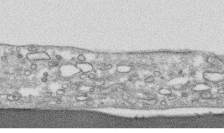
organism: Human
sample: CRL-1474